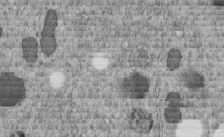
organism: C. elegans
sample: C. elegans embryo early stage